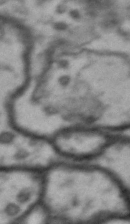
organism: Drosophila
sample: Brain